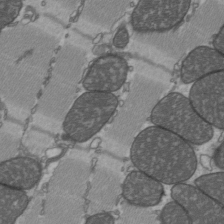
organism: C57BL Mouse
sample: Heart